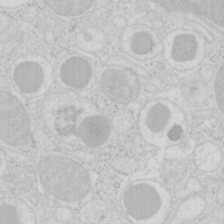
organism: Mouse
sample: Pancreas